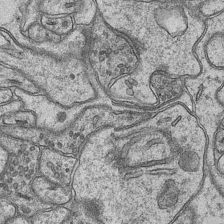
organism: Mouse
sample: CA1 Hippocampus